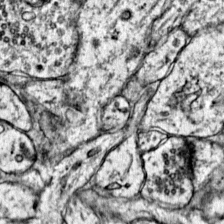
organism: Mouse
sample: Primary visual cortex